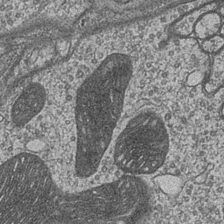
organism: Drosophila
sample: Optic medulla